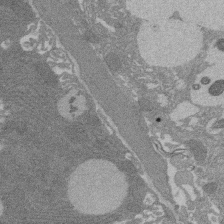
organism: Rat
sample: Salivary granule